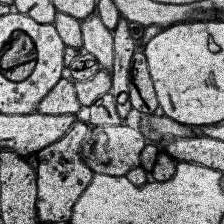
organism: Human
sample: Temporal Lobe